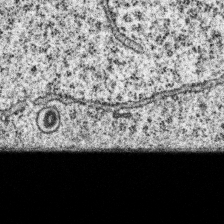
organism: Human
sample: HeLa cells